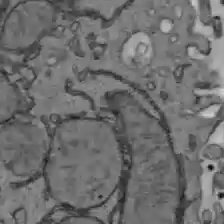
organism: C57BL Mouse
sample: Liver